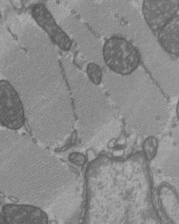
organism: C57BL Mouse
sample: Heart